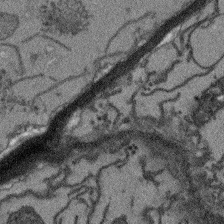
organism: Arabidopsis thaliana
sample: Root tip